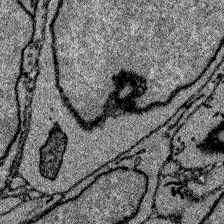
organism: Zebrafish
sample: Larval olfactory bulb